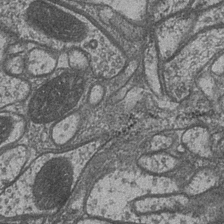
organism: Drosophila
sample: Optic medulla